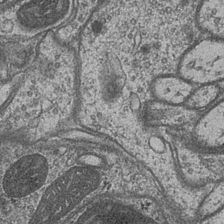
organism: Drosophila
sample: Optic medulla